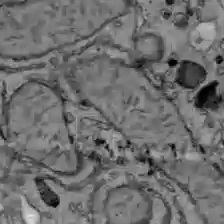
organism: C57BL Mouse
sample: Liver